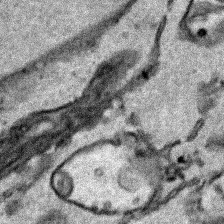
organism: Human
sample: Mitochondria in HCT116 cells